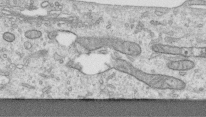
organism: Human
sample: Centriole in RPE cells